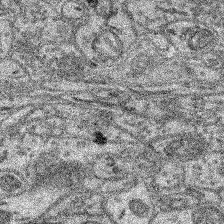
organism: Mouse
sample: Retina